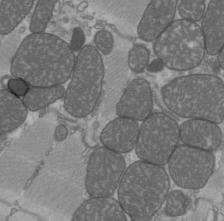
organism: C57BL Mouse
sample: Heart